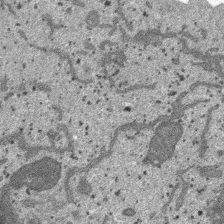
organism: Human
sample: Lung epithelial cells infected with SARS-CoV-2